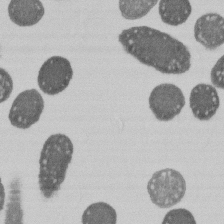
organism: E. coli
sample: Bacterial nucleoid